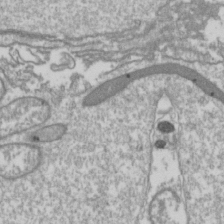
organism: Drosophila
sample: Cell division; meiosis; drosophila spermatocytes